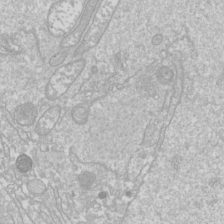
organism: Drosophila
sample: Cell division; meiosis; drosophila spermatocytes